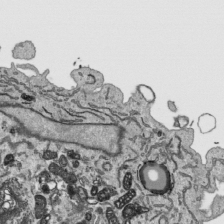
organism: Human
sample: Mitochondria in HCT116 cells